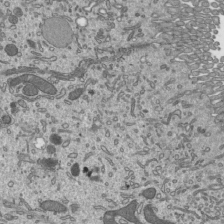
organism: Mouse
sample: Mouse epididymis efferent ductule cilia